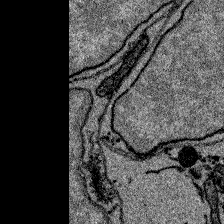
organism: Zebrafish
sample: Larval olfactory bulb